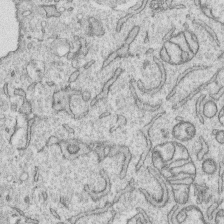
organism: Human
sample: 1205lu cells